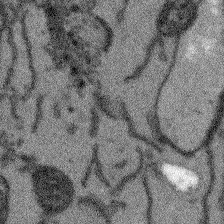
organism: Arabidopsis thaliana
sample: Root tip